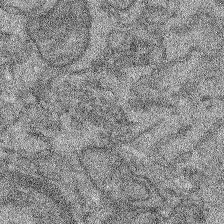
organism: Human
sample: HeLa cells